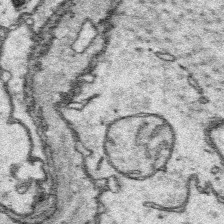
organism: Platynereis dumerilii